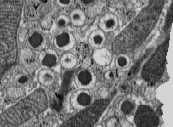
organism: C57BL Mouse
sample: Pancreatic islet